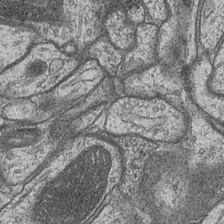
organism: Drosophila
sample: Optic medulla